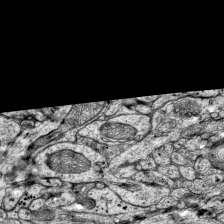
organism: Mouse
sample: Visual Cortex